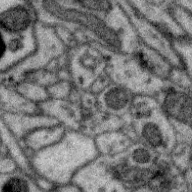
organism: Zebra finch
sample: Brain